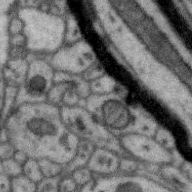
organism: Zebra finch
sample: Brain